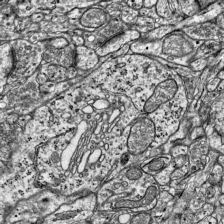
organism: Mouse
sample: Visual Cortex